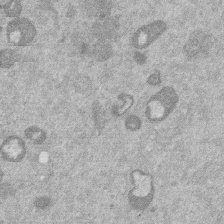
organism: Mouse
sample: Dividing mouse embryo 1 cell stage